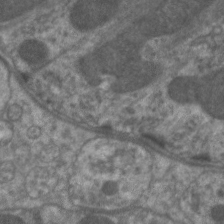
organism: C. elegans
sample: Pharynx